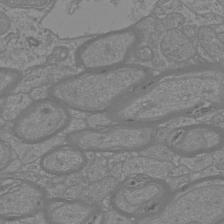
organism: Mouse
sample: Cortical neurons